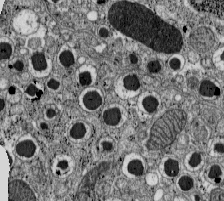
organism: C57BL Mouse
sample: Pancreatic islet